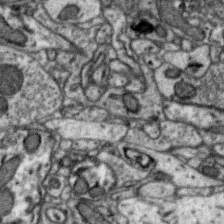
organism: Zebra finch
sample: Brain